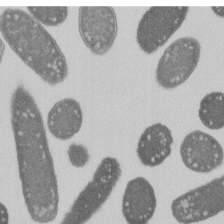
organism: E. coli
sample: Bacterial nucleoid